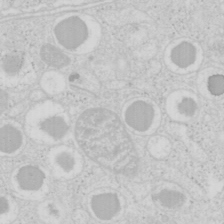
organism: Mouse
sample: Pancreas